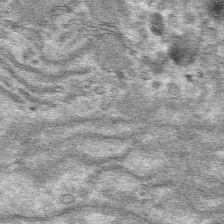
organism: Mouse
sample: Mouse hepatocytes